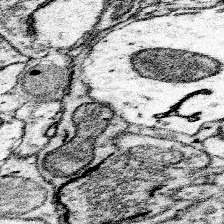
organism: Mouse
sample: Somatosensory cortex neuropil